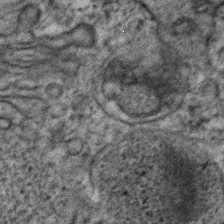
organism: Human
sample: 1205lu cells